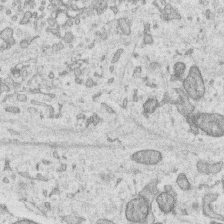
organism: Human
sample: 1205lu cells